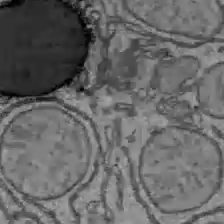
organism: C57BL Mouse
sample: Liver